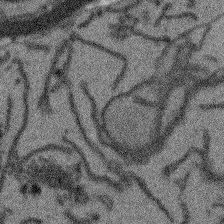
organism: Arabidopsis thaliana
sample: Root tip